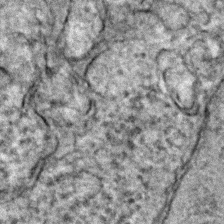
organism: Zebrafish